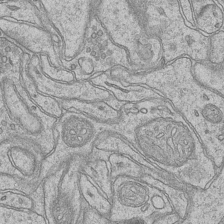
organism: Mouse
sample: CA1 Hippocampus